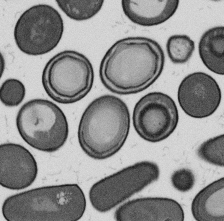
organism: B. subtilis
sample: Bacterial spore